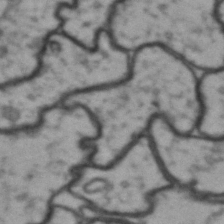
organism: Drosophila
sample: Brain